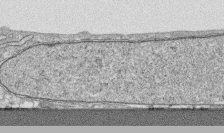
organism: Human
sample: CRL-1474